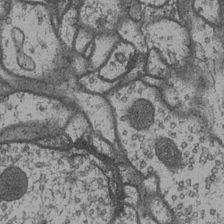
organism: Drosophila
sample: Optic medulla